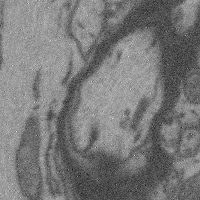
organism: Mouse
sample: Cerebral cortex